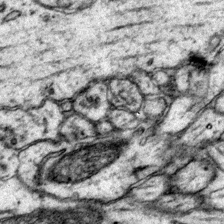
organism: Mouse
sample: Primary visual cortex